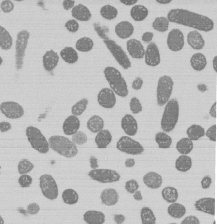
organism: E. coli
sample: Bacterial nucleoid